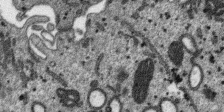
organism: Human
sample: Lung epithelial cells infected with SARS-CoV-2